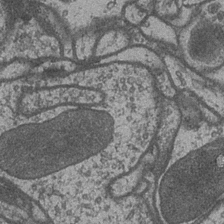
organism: Drosophila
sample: Optic medulla